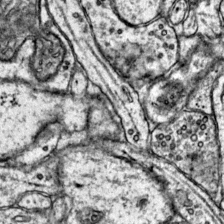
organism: Mouse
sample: Primary visual cortex